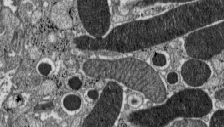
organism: C57BL Mouse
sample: Pancreatic islet